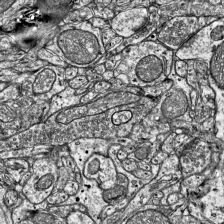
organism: Mouse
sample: Visual Cortex